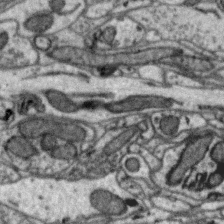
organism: Zebra finch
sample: Brain